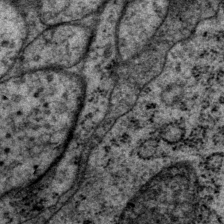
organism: P. pacificus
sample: Pharynx